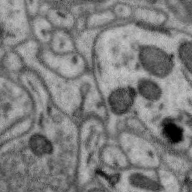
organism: Zebra finch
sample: Brain